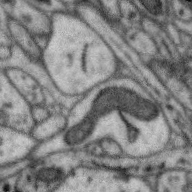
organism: Zebra finch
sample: Brain